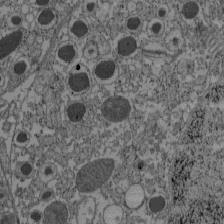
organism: C57BL Mouse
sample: Pancreatic islet